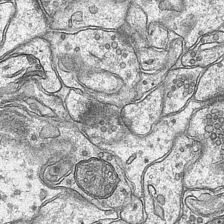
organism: Mouse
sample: CA1 Hippocampus